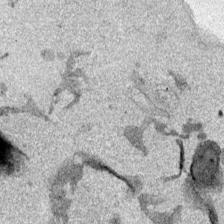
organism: Mouse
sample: Cancer cell death in ED-1 cells